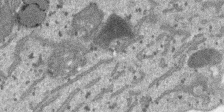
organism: Human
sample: Lung epithelial cells infected with SARS-CoV-2